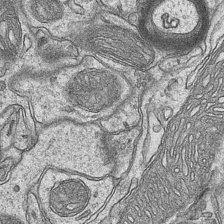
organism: Mouse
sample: CA1 Hippocampus